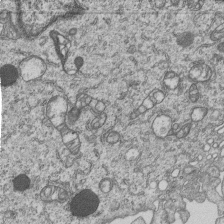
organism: Human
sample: MDA-MB-231 cells